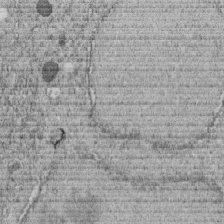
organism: C. elegans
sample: C. elegans embryo early stage